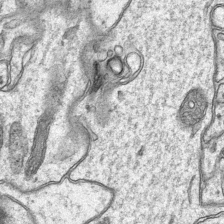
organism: Mouse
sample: CA1 Hippocampus